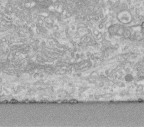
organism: Human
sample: Centriole in fibroblast cells